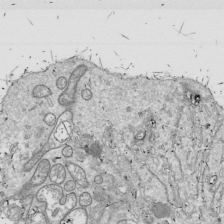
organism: Drosophila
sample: Cell division; meiosis; drosophila spermatocytes